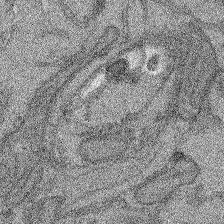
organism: Human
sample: HeLa cells